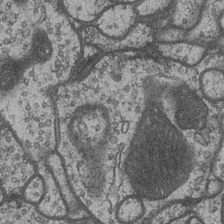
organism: Drosophila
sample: Optic medulla